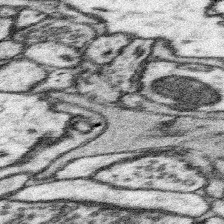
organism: Mouse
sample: Somatosensory cortex neuropil